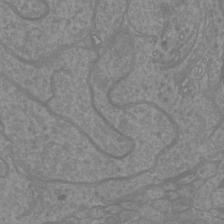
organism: Mouse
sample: Cortical neurons